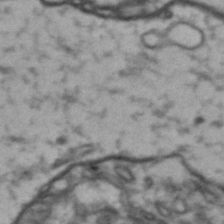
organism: Drosophila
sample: Brain